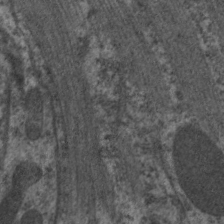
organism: C. elegans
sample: Pharynx